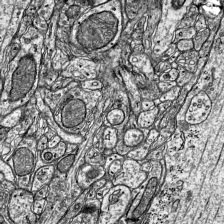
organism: Mouse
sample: Visual Cortex